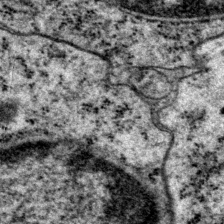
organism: P. pacificus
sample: Pharynx